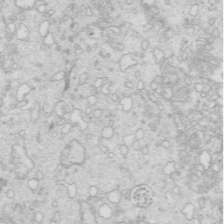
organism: Mouse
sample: Multiciliated cells